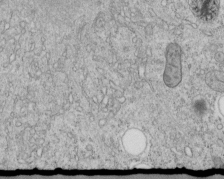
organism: C. elegans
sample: C. elegans embryo early stage